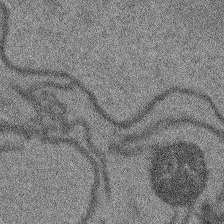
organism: Arabidopsis thaliana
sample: Root tip